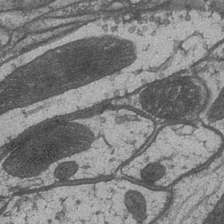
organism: Drosophila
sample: Optic medulla